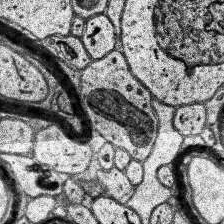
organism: Human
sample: Temporal Lobe